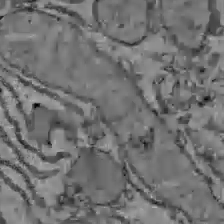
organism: C57BL Mouse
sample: Liver